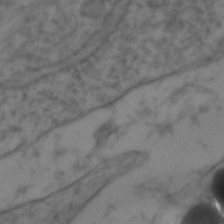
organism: Zebrafish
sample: Zebrafish embryo